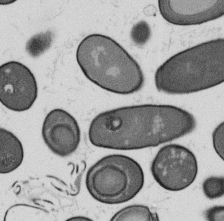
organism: B. subtilis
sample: Bacterial spore